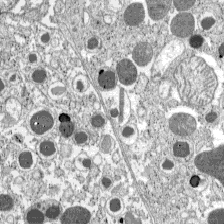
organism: C57BL Mouse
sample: Pancreatic islet